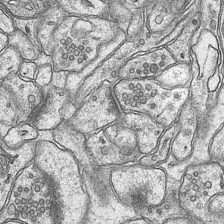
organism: Mouse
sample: CA1 Hippocampus